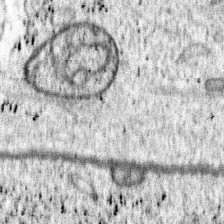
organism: Human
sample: HeLa cells